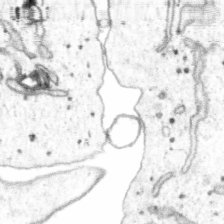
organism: Human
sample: HeLa cells